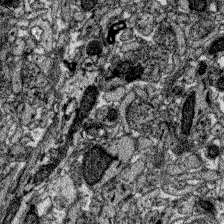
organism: Zebrafish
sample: Larval olfactory bulb